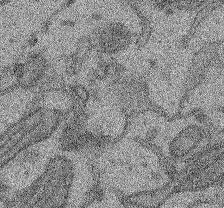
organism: Human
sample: HeLa cells